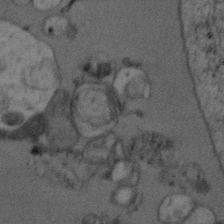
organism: Human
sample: HeLa cells